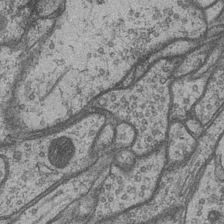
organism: Drosophila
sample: Optic medulla